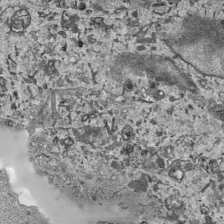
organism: Human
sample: Mitochondria in HCT116 cells